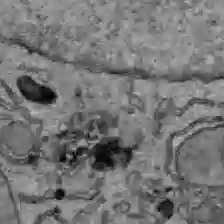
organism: C57BL Mouse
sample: Liver